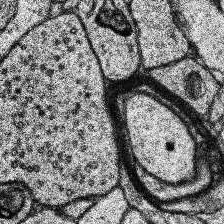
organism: Human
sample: Temporal Lobe